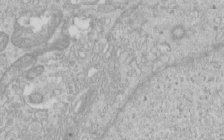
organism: Human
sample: Centriole in RPE cells